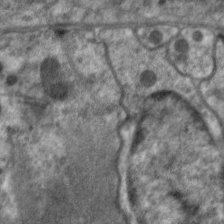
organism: C. elegans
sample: Pharynx